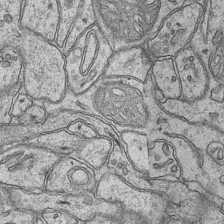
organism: Mouse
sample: CA1 Hippocampus